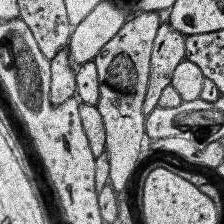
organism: Human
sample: Temporal Lobe